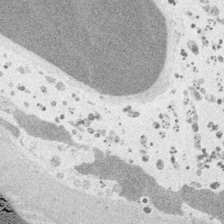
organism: Embia sp.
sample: Silk gland